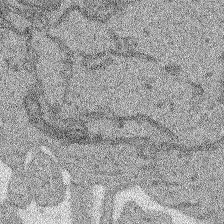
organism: Human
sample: HeLa cells